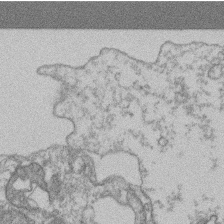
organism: Mouse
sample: T cell stromal cell synapse